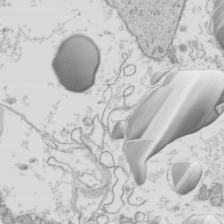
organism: Mouse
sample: Cilia; mouse epididymis